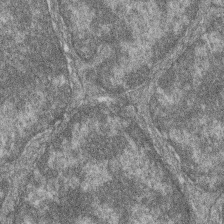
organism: Zebrafish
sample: Cilia; retinal pigment epithelium